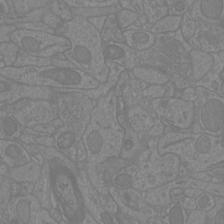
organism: Mouse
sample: Cortical neurons